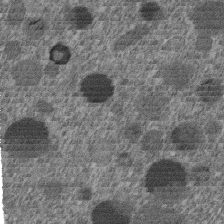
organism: C. elegans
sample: C. elegans embryo early stage